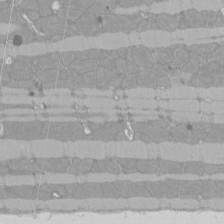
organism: Rat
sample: Left ventricle